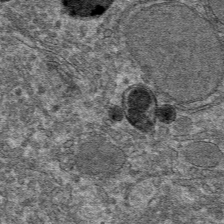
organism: Mouse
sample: Mouse hepatocytes